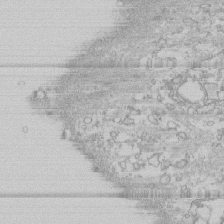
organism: Human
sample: CRL-1474